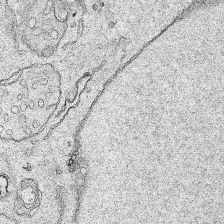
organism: Human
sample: Mitochondria in HCT116 cells